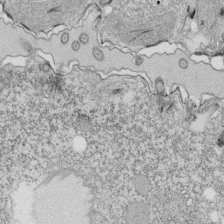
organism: Tetrahymena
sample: Cilia in tetrahymena